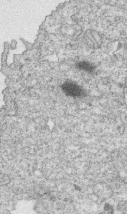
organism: Human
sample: HeLa cell HIV synapse